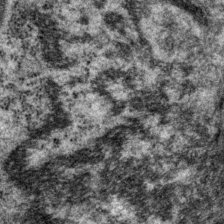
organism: P. pacificus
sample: Pharynx